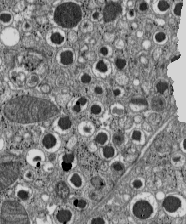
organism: C57BL Mouse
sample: Pancreatic islet